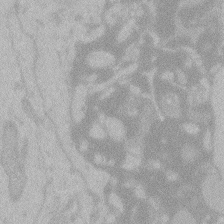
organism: Zebrafish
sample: Macrophage infected with Toxoplasma gondii